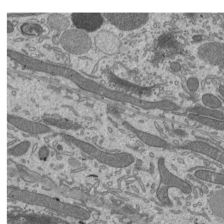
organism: Mouse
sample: Mouse epididymis efferent ductule cilia